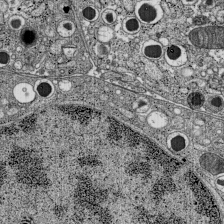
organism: C57BL Mouse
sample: Pancreatic islet